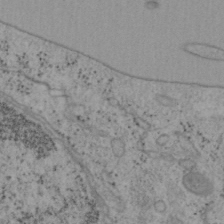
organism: Human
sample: HeLa cells